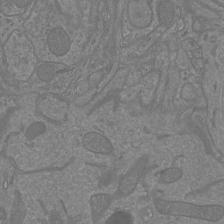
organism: Mouse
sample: Cortical neurons